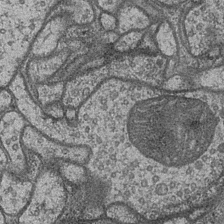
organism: Drosophila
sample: Optic medulla